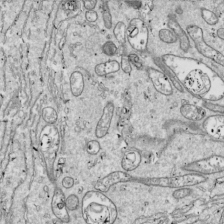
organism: Drosophila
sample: Cell division; meiosis; drosophila spermatocytes